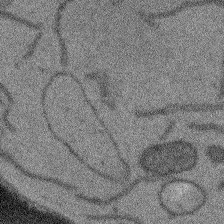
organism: Arabidopsis thaliana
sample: Root tip